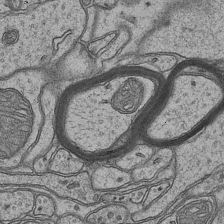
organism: Mouse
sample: CA1 Hippocampus